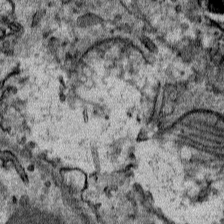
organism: Mouse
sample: Mouse Salivary gland